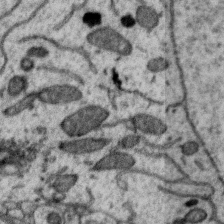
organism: Zebra finch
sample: Brain